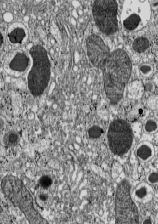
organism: C57BL Mouse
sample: Pancreatic islet